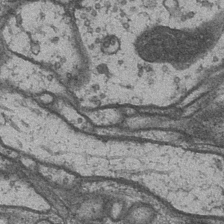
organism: Drosophila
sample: Optic medulla